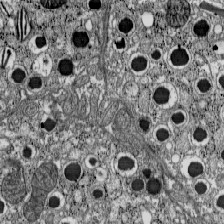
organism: C57BL Mouse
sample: Pancreatic islet